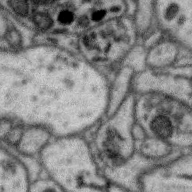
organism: Zebra finch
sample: Brain